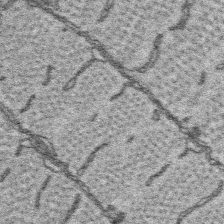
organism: Platynereis dumerilii